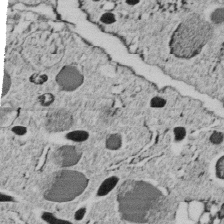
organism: C. elegans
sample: C. elegans embryo early stage